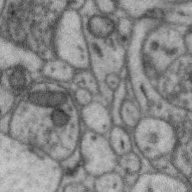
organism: Zebra finch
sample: Brain